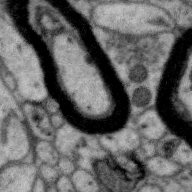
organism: Zebra finch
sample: Brain